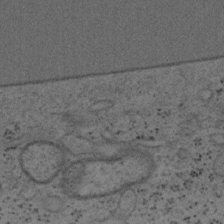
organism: Human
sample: HeLa cells